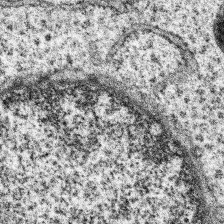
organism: Human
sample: HeLa cells